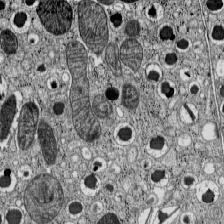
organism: C57BL Mouse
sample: Pancreatic islet